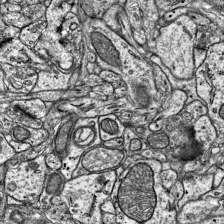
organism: Mouse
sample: Visual Cortex